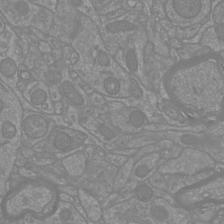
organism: Mouse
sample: Cortical neurons